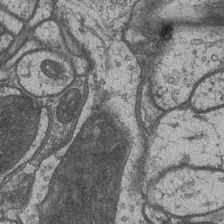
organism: Drosophila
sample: Optic medulla